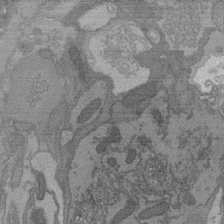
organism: C. elegans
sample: AFD neurons C. elegans